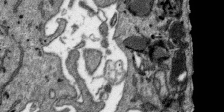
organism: Human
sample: Lung epithelial cells, uninfected (mock) control